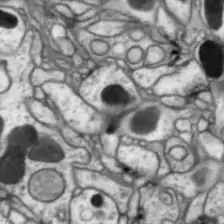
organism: Drosophila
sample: Optic lobe